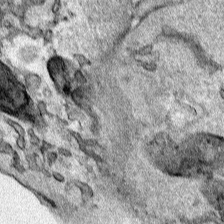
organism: Human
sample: Mitochondria in HCT116 cells